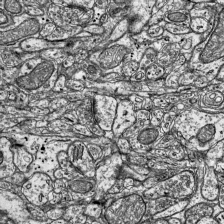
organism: Mouse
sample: Visual Cortex